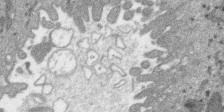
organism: Human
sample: Lung epithelial cells infected with SARS-CoV-2